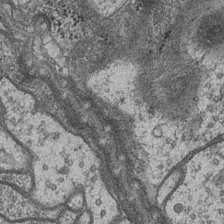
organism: Drosophila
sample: Optic medulla